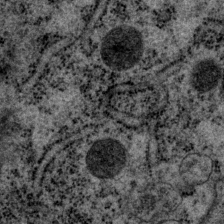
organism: P. pacificus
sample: Pharynx